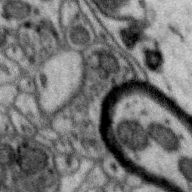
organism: Zebra finch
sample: Brain